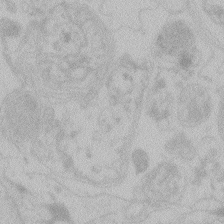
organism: Zebrafish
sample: Macrophage infected with Toxoplasma gondii